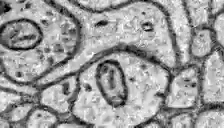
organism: Zebrafish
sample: Brain